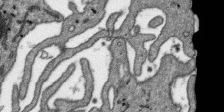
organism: Human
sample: Lung epithelial cells, uninfected (mock) control